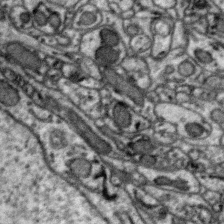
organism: Zebra finch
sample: Brain